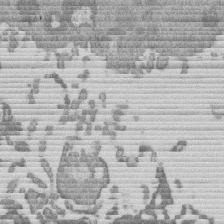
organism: Mouse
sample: Dividing mouse embryo 1 cell stage